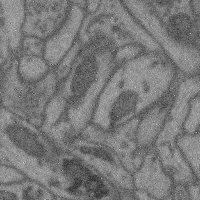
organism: Mouse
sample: Cerebral cortex